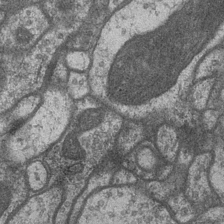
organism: Drosophila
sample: Optic medulla